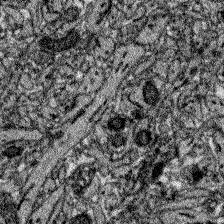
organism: Zebrafish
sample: Larval olfactory bulb